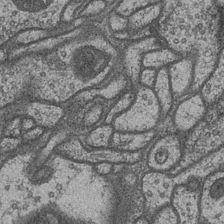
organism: Drosophila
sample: Optic medulla